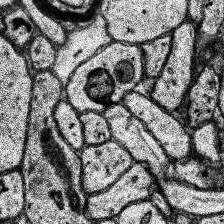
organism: Human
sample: Temporal Lobe